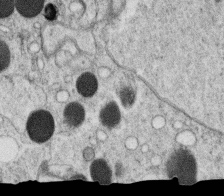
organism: C. elegans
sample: C. elegans oocyte; sperm cells